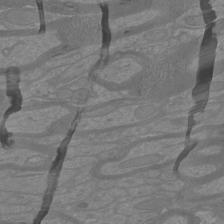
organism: Mouse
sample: Cortical neurons